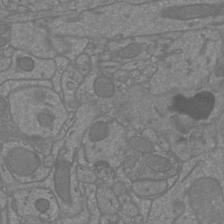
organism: Mouse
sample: Cortical neurons